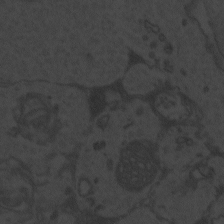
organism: Zebrafish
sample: Macrophage infected with Toxoplasma gondii